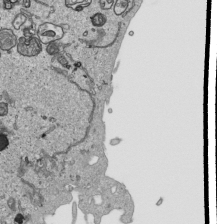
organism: Human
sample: Mitochondria in HCT116 cells